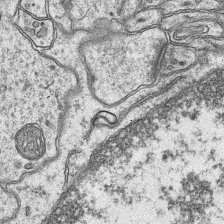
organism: Mouse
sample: CA1 Hippocampus